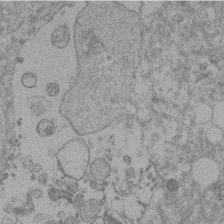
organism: Mouse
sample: Dividing mouse embryo 1 cell stage